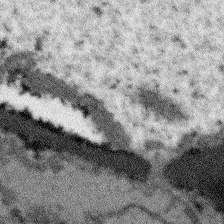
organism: Arabidopsis thaliana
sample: Root tip